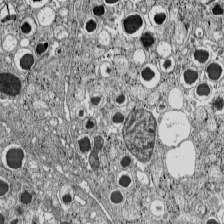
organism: C57BL Mouse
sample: Pancreatic islet